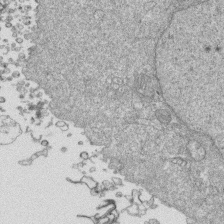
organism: Human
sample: HeLa cell HIV synapse